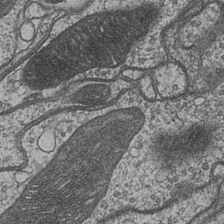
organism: Drosophila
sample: Optic medulla